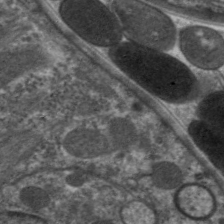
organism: C. elegans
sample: Pharynx